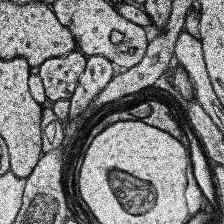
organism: Human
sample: Temporal Lobe